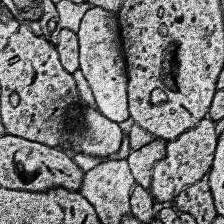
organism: Human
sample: Temporal Lobe